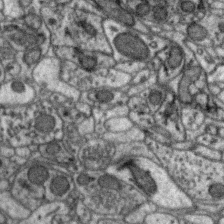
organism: Zebra finch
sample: Brain